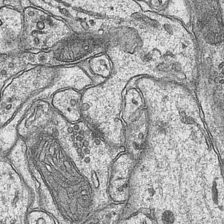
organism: Mouse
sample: CA1 Hippocampus